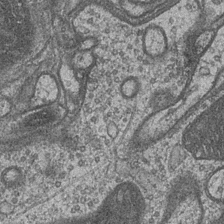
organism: Drosophila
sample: Optic medulla